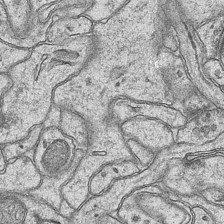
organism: Mouse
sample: CA1 Hippocampus